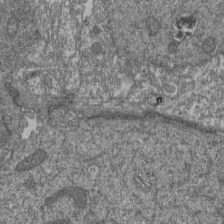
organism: Human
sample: Retinal organoid Rod and Cone cells